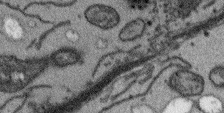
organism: Arabidopsis thaliana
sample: Root tip